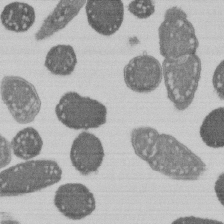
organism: E. coli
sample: Bacterial nucleoid